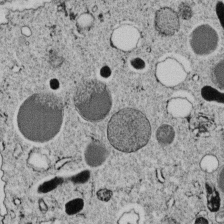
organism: C. elegans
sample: C. elegans embryo early stage